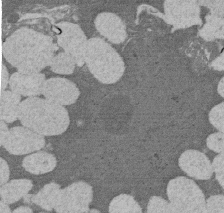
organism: Rat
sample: Salivary granule